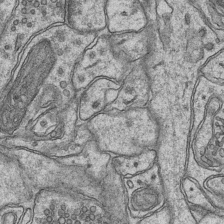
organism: Mouse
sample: CA1 Hippocampus